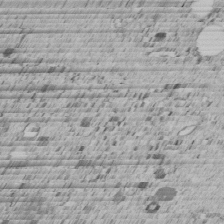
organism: C. elegans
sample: C. elegans embryo early stage